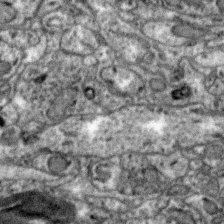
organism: Zebra finch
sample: Brain